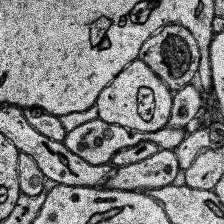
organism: Human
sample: Temporal Lobe